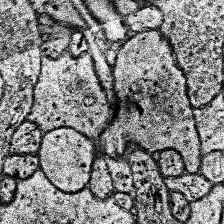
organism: Human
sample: Temporal Lobe